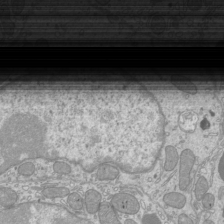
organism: Mouse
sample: Cilia; mouse epididymis